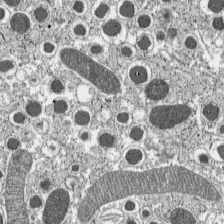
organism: C57BL Mouse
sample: Pancreatic islet